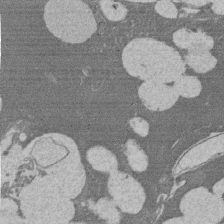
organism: Rat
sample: Salivary granule